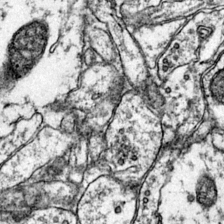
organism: Mouse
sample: Primary visual cortex